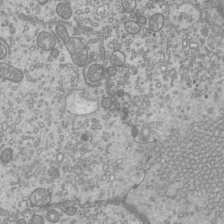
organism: Mouse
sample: Cilia; mouse epididymis